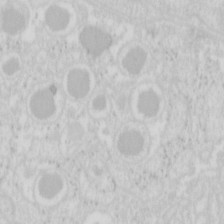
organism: Mouse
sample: Pancreas